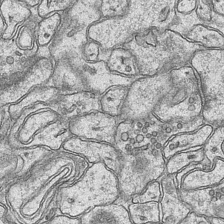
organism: Mouse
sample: CA1 Hippocampus